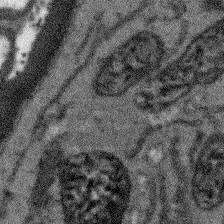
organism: Arabidopsis thaliana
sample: Root tip